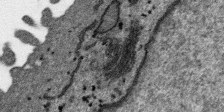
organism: Human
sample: Lung epithelial cells, uninfected (mock) control